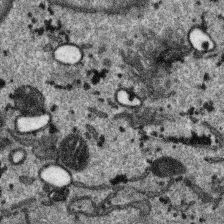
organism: Human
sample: Lung epithelial cells infected with SARS-CoV-2